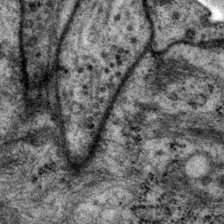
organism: P. pacificus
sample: Pharynx